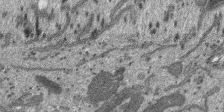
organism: Human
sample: Lung epithelial cells infected with SARS-CoV-2